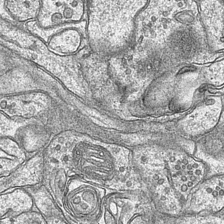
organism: Mouse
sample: CA1 Hippocampus